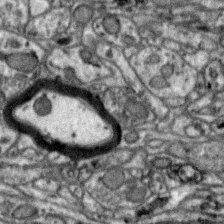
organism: Zebra finch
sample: Brain